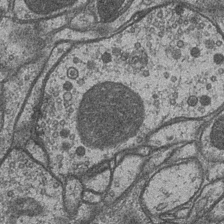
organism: Drosophila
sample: Optic medulla